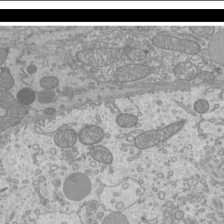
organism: Mouse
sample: Cilia; mouse epididymis